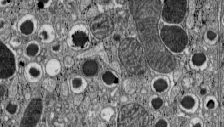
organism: C57BL Mouse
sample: Pancreatic islet